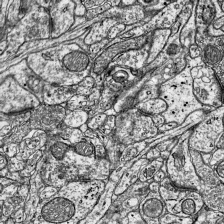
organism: Mouse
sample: Visual Cortex